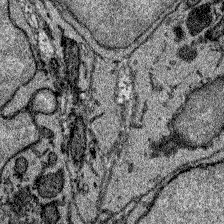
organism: Zebrafish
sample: Larval olfactory bulb